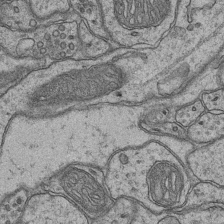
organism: Mouse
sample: CA1 Hippocampus